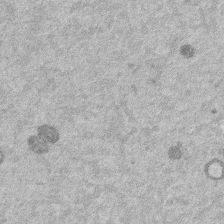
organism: Mouse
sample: Dividing mouse embryo 1 cell stage